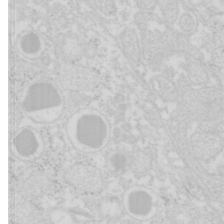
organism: Mouse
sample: Pancreas